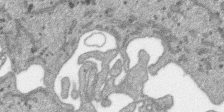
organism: Human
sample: Lung epithelial cells infected with SARS-CoV-2